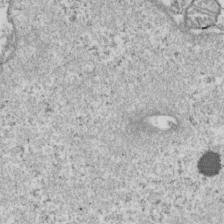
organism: Human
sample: Activated Jurkat CD4+ T cells